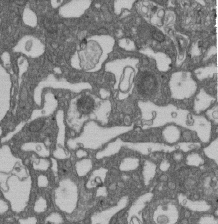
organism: Drosophila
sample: Nephrocyte